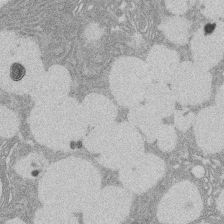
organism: Rat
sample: Salivary granule